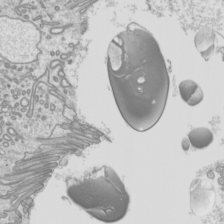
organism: Mouse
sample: Cilia; mouse epididymis